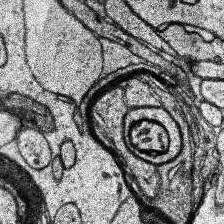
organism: Human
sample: Temporal Lobe